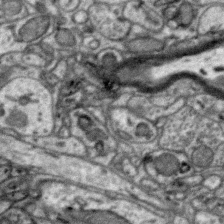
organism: Zebra finch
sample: Brain